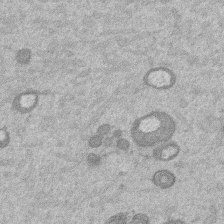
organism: Mouse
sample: Dividing mouse embryo 1 cell stage